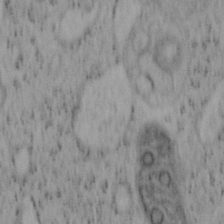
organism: Mouse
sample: OT-I killer T cells with ID8 ovarian cancer cells